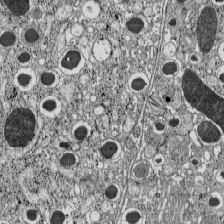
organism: C57BL Mouse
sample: Pancreatic islet